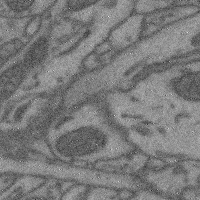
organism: Mouse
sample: Cerebral cortex